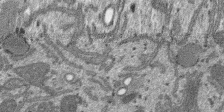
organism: Human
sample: Lung epithelial cells infected with SARS-CoV-2